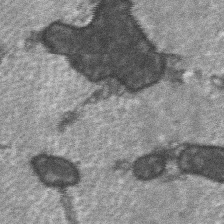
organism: C57BL Mouse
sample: Soleus